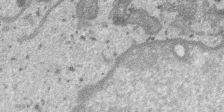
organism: Human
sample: Lung epithelial cells infected with SARS-CoV-2